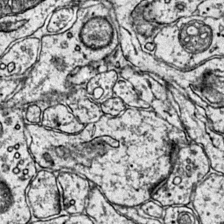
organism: Mouse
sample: Primary visual cortex